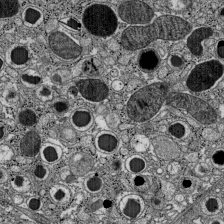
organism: C57BL Mouse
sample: Pancreatic islet